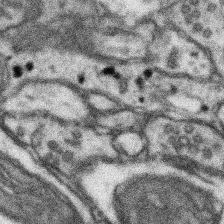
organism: Mouse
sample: Somatosensory cortex neuropil